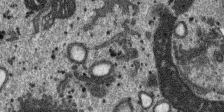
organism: Human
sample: Lung epithelial cells infected with SARS-CoV-2